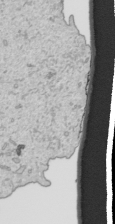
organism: Human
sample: Mitochondria in HCT116 cells